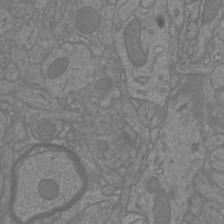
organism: Mouse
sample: Cortical neurons